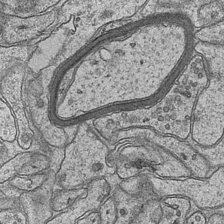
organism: Mouse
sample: CA1 Hippocampus